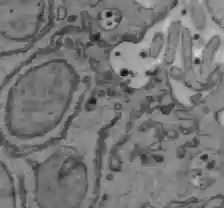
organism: C57BL Mouse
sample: Liver